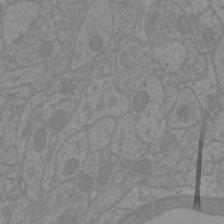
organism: Mouse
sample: Cortical neurons